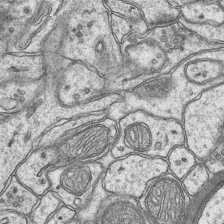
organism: Mouse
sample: CA1 Hippocampus